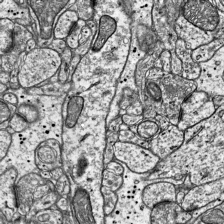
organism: Mouse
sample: Visual Cortex